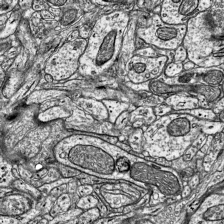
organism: Mouse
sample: Visual Cortex